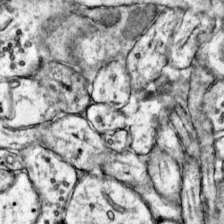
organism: Mouse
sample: Primary visual cortex